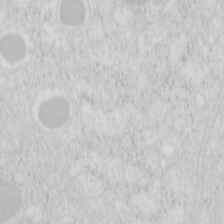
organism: Mouse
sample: Pancreas